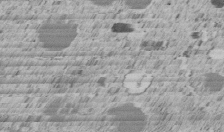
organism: C. elegans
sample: C. elegans embryo early stage